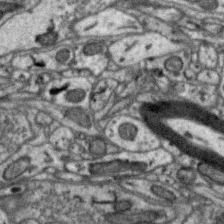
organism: Zebra finch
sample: Brain